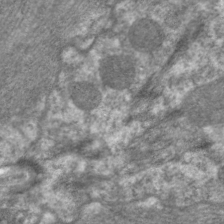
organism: C. elegans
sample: Pharynx